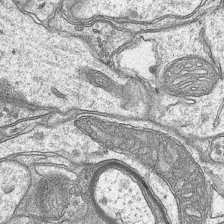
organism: Mouse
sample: CA1 Hippocampus